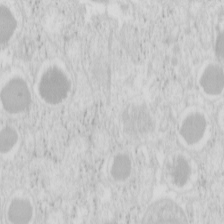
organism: Mouse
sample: Pancreas